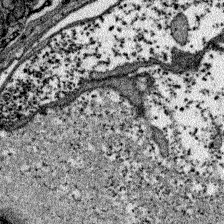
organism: Zebrafish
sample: Larval olfactory bulb